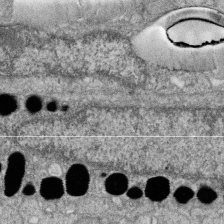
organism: Zebrafish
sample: Cilia; retinal pigment epithelium